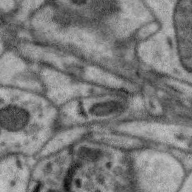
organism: Zebra finch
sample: Brain